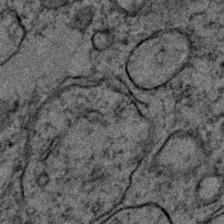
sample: Trachea